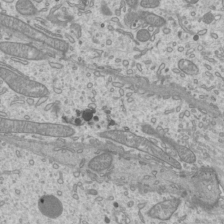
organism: Mouse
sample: Cilia; mouse epididymis